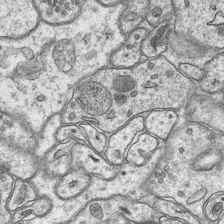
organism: Mouse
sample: CA1 Hippocampus